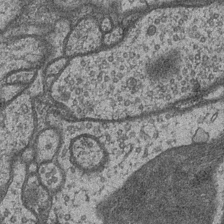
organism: Drosophila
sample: Optic medulla